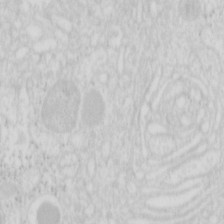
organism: Mouse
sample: Pancreas